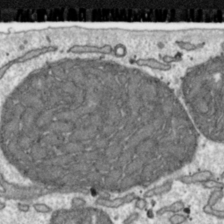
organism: Toxoplasma gondii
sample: Parasites in a vacuole inside a host cell